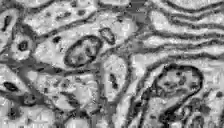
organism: Zebrafish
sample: Brain